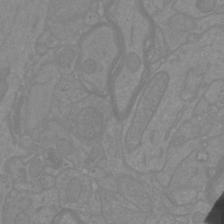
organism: Mouse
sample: Cortical neurons